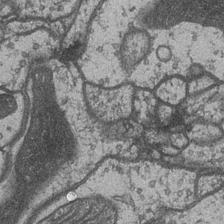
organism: Drosophila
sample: Optic medulla